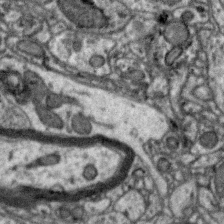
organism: Zebra finch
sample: Brain